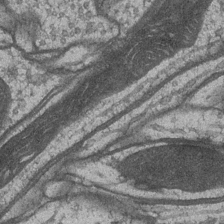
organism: Drosophila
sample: Optic medulla